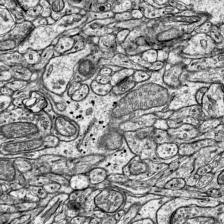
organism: Mouse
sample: Visual Cortex